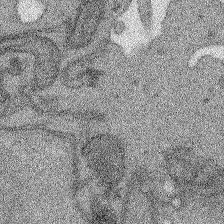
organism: Human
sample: HeLa cells